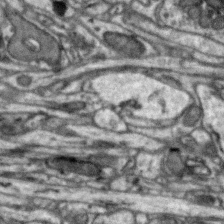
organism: Zebra finch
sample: Brain